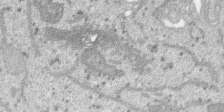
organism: Human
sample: Lung epithelial cells infected with SARS-CoV-2